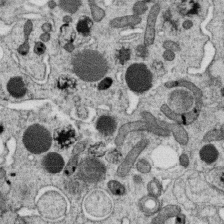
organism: C. elegans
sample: C. elegans oocyte; sperm cells